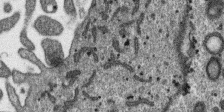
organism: Human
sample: Lung epithelial cells infected with SARS-CoV-2